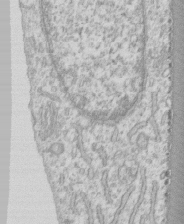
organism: Human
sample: CRL-1474